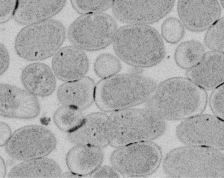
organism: E. coli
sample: Bacterial nucleoid